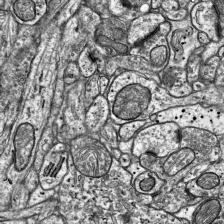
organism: Mouse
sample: Visual Cortex